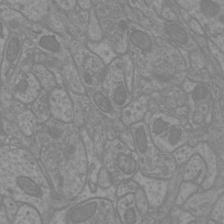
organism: Mouse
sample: Cortical neurons